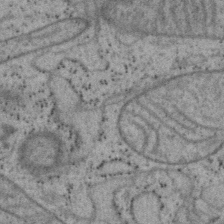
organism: Human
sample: HeLa cells